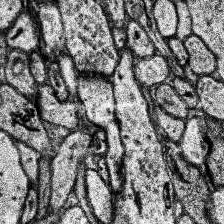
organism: Human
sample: Temporal Lobe